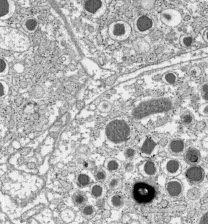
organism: C57BL Mouse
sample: Pancreatic islet